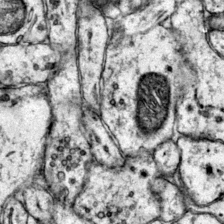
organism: Mouse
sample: Primary visual cortex